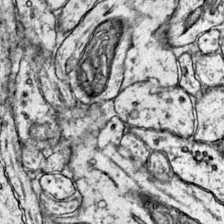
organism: Mouse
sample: Primary visual cortex